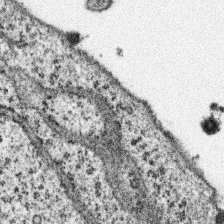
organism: Human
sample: HeLa cells